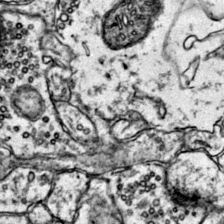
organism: Mouse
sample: Primary visual cortex